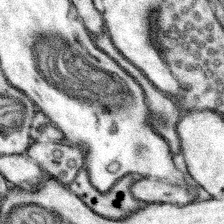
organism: Mouse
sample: Somatosensory cortex neuropil